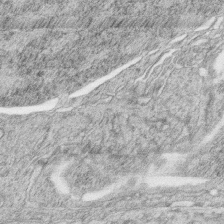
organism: Zebrafish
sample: synaptic ribbons in rod cells and cone cells